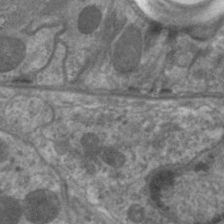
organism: C. elegans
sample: Pharynx